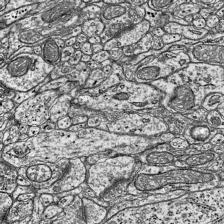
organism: Mouse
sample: Visual Cortex